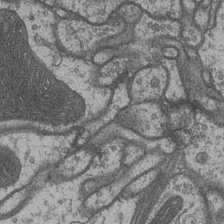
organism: Drosophila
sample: Optic medulla